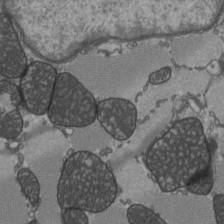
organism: C57BL Mouse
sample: Heart